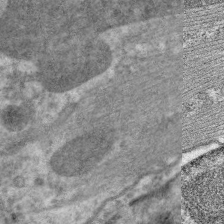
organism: C. elegans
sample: Pharynx